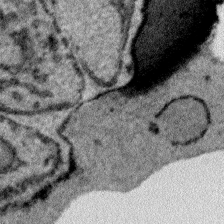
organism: Plasmodium falciparum